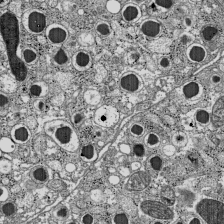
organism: C57BL Mouse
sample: Pancreatic islet